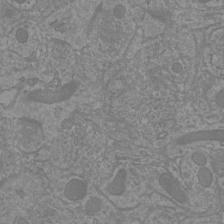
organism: Mouse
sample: Cortical neurons